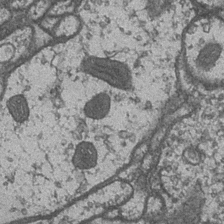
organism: Drosophila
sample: Optic medulla